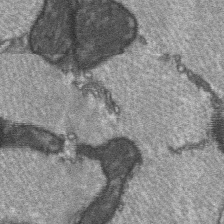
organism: C57BL Mouse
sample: Soleus